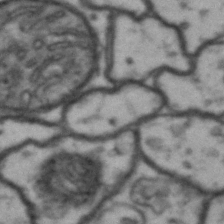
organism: Drosophila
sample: Brain